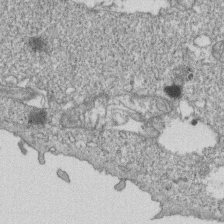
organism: Human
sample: HeLa cell HIV synapse